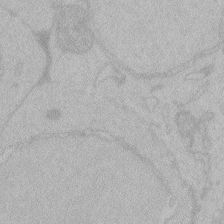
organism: Zebrafish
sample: Macrophage infected with Toxoplasma gondii